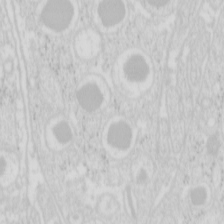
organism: Mouse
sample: Pancreas